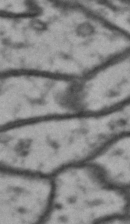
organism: Drosophila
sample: Brain